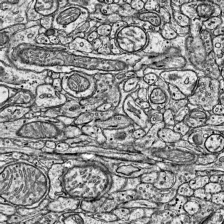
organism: Mouse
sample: Visual Cortex